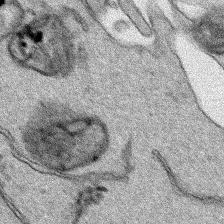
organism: Human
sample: Mitochondria in HCT116 cells